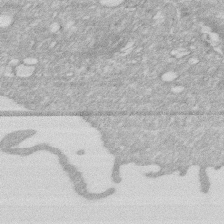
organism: Human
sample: HIV infected U937 cells